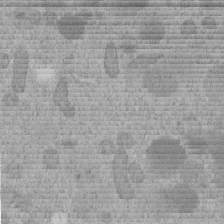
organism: C. elegans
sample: C. elegans embryo early stage